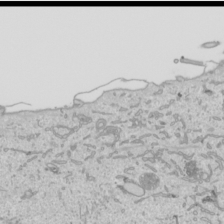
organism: Human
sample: Mitochondria in HCT116 cells